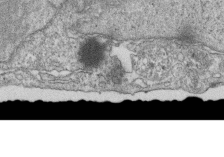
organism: Human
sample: HeLa cell HIV synapse